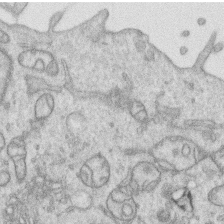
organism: Human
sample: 1205lu cells